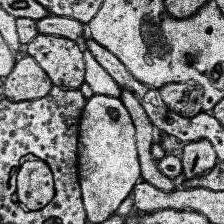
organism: Human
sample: Temporal Lobe